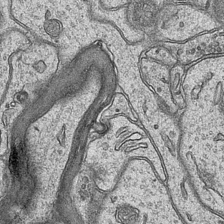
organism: Mouse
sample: CA1 Hippocampus